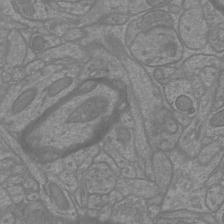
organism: Mouse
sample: Cortical neurons